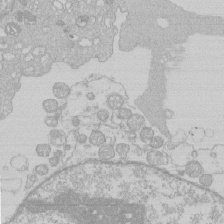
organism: Human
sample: Macrophage cells